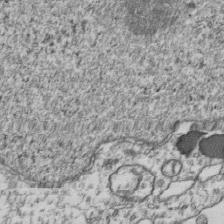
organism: Human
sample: Activated Jurkat CD4+ T cells